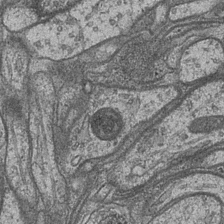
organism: Drosophila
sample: Optic medulla